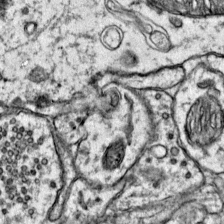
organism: Mouse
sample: Primary visual cortex